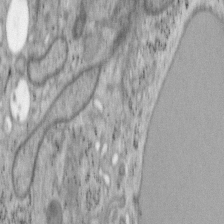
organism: Human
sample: HeLa cells